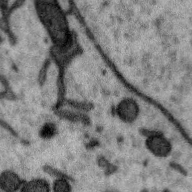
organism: Zebra finch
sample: Brain